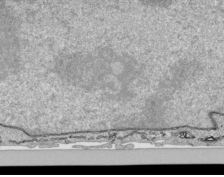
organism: Human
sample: Mitochondria in HCT116 cells